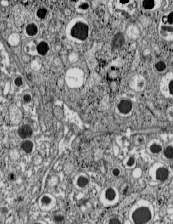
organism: C57BL Mouse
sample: Pancreatic islet